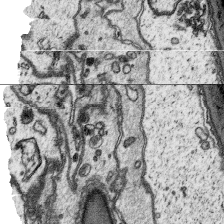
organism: Platynereis dumerilii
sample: Parapodia